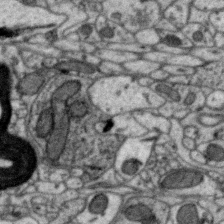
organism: Zebra finch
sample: Brain